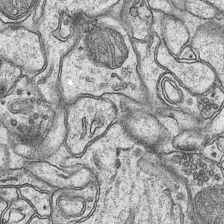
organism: Mouse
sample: CA1 Hippocampus